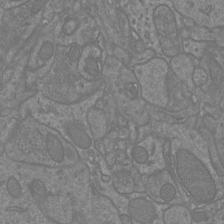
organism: Mouse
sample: Cortical neurons